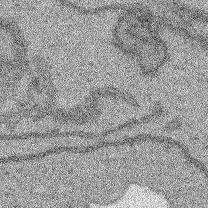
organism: Human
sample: HeLa cells